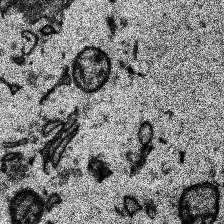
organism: Human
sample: Temporal Lobe